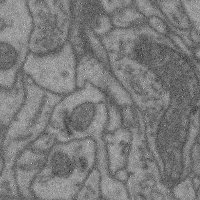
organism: Mouse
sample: Cerebral cortex